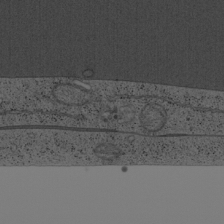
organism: African green monkey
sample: COS-7 cells